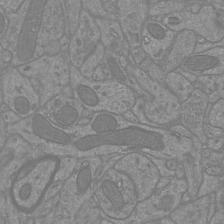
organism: Mouse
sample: Cortical neurons